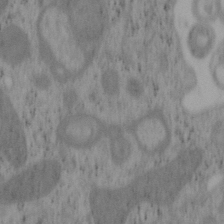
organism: Mouse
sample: OT-I killer T cells with ID8 ovarian cancer cells